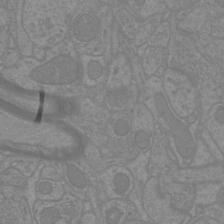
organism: Mouse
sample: Cortical neurons